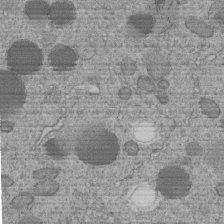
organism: C. elegans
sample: C. elegans embryo early stage